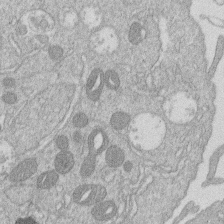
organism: Human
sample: Macrophage cells